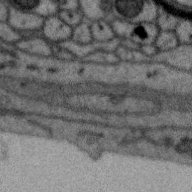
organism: Zebra finch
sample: Brain